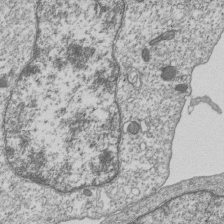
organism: Human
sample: MDA-MB-231 cells